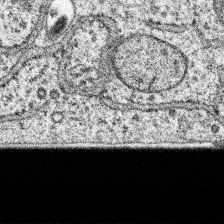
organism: Human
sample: HeLa cells